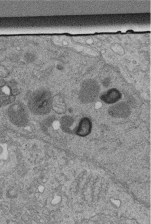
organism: Human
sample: Retinal organoid Rod and Cone cells